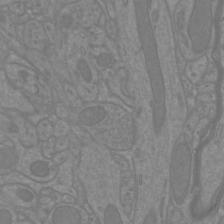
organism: Mouse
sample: Cortical neurons